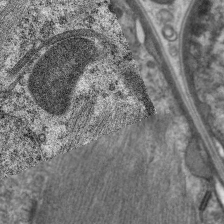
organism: C. elegans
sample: Pharynx